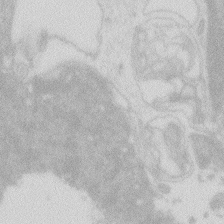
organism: Zebrafish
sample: Macrophage